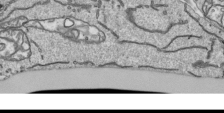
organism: Human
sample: Mitochondria in HCT116 cells